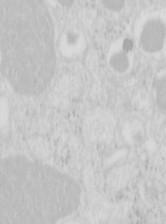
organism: Mouse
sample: Pancreas